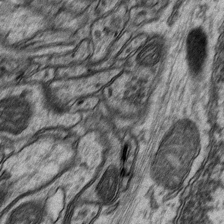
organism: Mouse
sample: CA1 Hippocampus